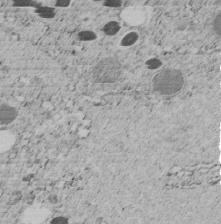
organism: C. elegans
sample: C. elegans embryo early stage